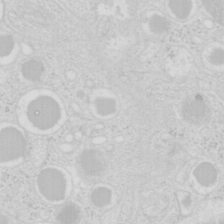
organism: Mouse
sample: Pancreas